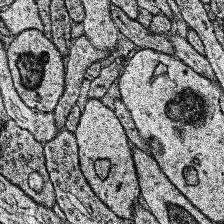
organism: Human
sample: Temporal Lobe